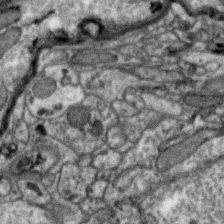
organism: Zebra finch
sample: Brain